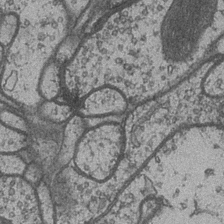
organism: Drosophila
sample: Optic medulla